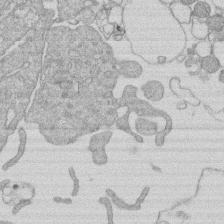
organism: Human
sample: Macrophage cells